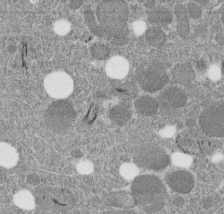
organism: C. elegans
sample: C. elegans embryo early stage